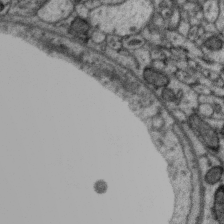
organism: Zebra finch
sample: Brain